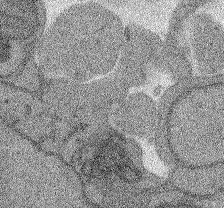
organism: Human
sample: HeLa cells